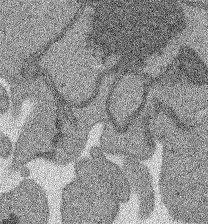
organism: Human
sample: HeLa cells